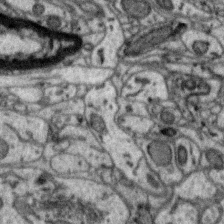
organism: Zebra finch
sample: Brain